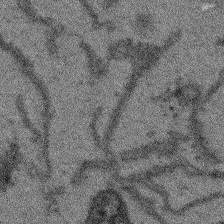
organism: Arabidopsis thaliana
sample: Root tip